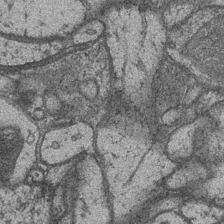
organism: Drosophila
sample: Optic medulla